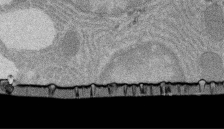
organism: Rat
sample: Salivary granule